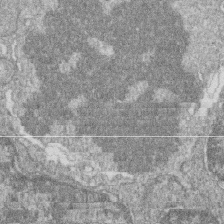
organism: Zebrafish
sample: Cilia; retinal pigment epithelium